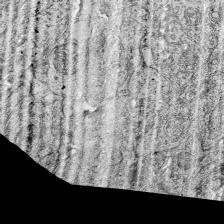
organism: Mouse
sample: Visual Cortex